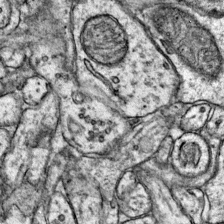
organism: Mouse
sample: Primary visual cortex